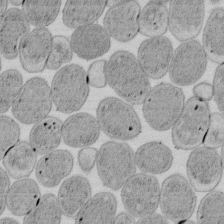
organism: E. coli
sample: Bacterial nucleoid